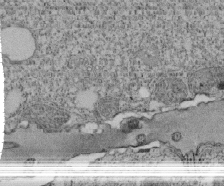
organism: Tetrahymena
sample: Cilia in tetrahymena